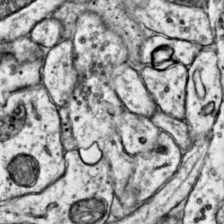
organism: Mouse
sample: Primary visual cortex